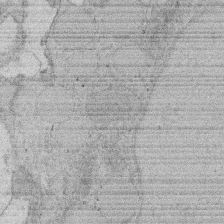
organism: Rat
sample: Salivary granule